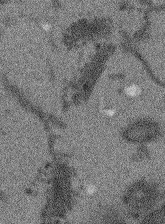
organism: Arabidopsis thaliana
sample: Root tip